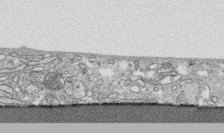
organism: Human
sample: CRL-1474